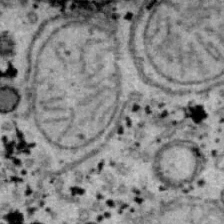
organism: Mouse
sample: Liver from an obese (ob/ob) mouse